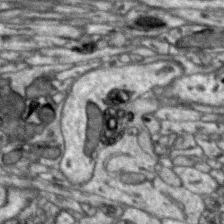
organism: Zebra finch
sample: Brain